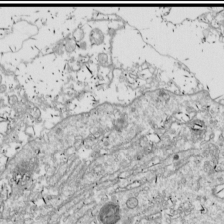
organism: Drosophila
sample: Cell division; meiosis; drosophila spermatocytes